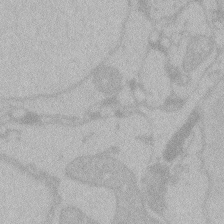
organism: Zebrafish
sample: Macrophage infected with Toxoplasma gondii